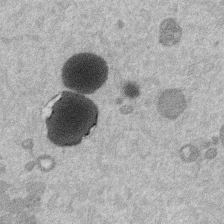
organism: Mouse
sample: Dividing mouse embryo 1 cell stage